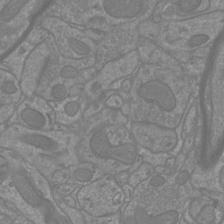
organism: Mouse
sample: Cortical neurons